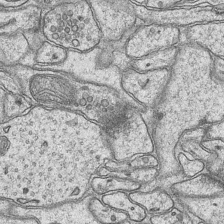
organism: Mouse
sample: CA1 Hippocampus